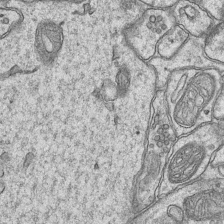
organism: Mouse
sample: CA1 Hippocampus